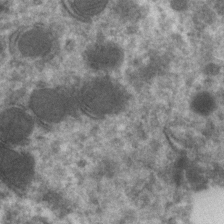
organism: Zebrafish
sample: Zebrafish embryo